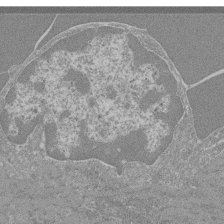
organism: Mouse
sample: Glomerulus